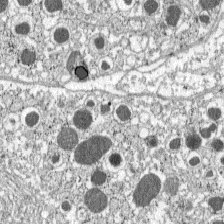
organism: C57BL Mouse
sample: Pancreatic islet